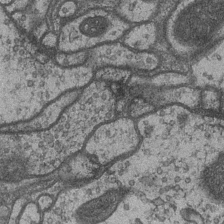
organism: Drosophila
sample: Optic medulla